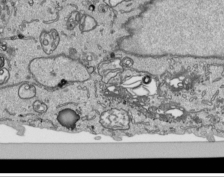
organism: Human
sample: Mitochondria in HCT116 cells